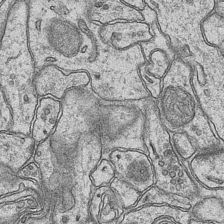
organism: Mouse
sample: CA1 Hippocampus